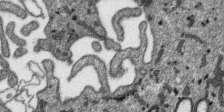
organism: Human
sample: Lung epithelial cells infected with SARS-CoV-2